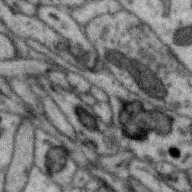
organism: Zebra finch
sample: Brain